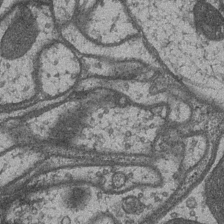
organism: Drosophila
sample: Optic medulla